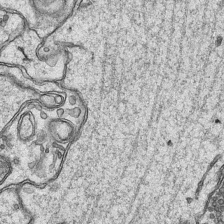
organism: Mouse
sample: CA1 Hippocampus